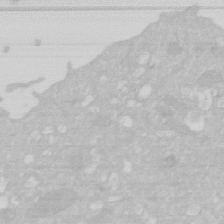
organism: Human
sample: HIV infected U937 cells